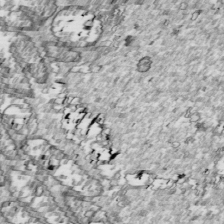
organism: Drosophila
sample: Cell division; meiosis; drosophila spermatocytes